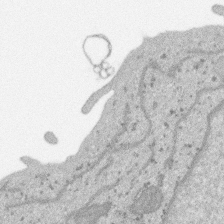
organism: Human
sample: Lung epithelial cells infected with SARS-CoV-2